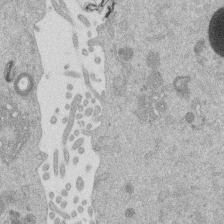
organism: Mouse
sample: Dividing mouse embryo 1 cell stage